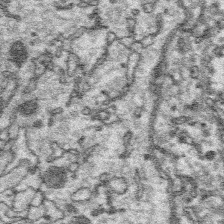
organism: Platynereis dumerilii